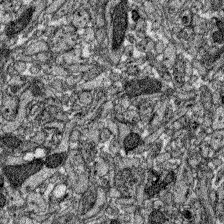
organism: Zebrafish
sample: Larval olfactory bulb